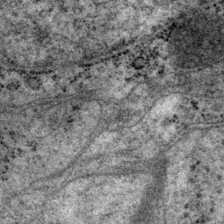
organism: P. pacificus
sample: Pharynx